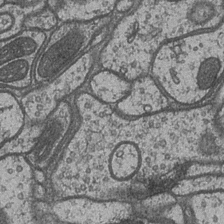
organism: Drosophila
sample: Optic medulla